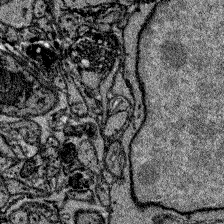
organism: Zebrafish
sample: Larval olfactory bulb